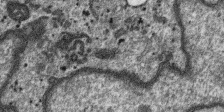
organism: Human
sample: Lung epithelial cells infected with SARS-CoV-2